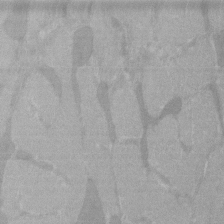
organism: C57BL Mouse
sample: Tibialis anterior muscle cell